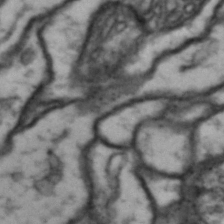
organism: Drosophila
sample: Brain